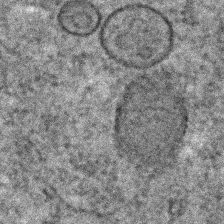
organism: C. elegans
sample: C. elegans embryo